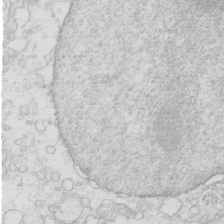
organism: Mouse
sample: Multiciliated cells